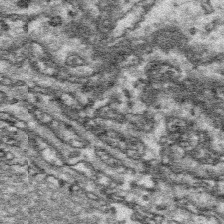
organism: Platynereis dumerilii